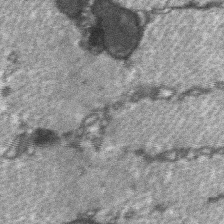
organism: C57BL Mouse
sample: Soleus